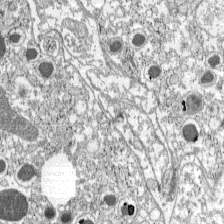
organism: C57BL Mouse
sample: Pancreatic islet